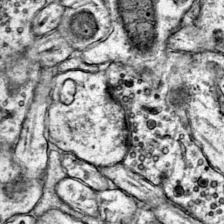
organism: Mouse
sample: Primary visual cortex